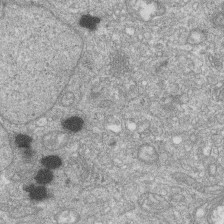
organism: Human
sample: HeLa cell HIV synapse